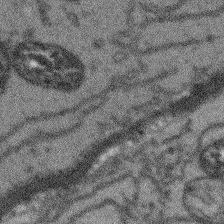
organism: Arabidopsis thaliana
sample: Root tip